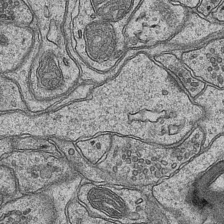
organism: Mouse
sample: CA1 Hippocampus